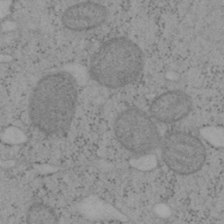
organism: Mouse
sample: OT-I killer T cells with ID8 ovarian cancer cells